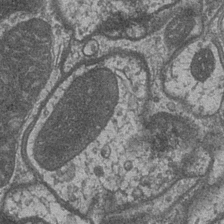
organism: Drosophila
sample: Optic medulla